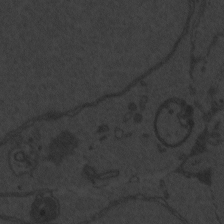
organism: Zebrafish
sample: Macrophage infected with Toxoplasma gondii